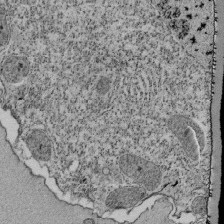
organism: Tetrahymena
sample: Cilia in tetrahymena